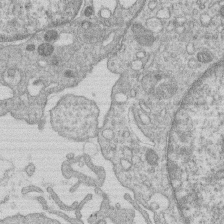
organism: Human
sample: Macrophage cells